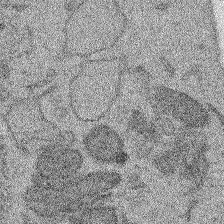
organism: Human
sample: HeLa cells